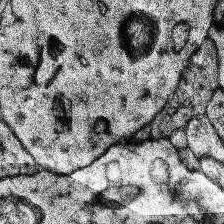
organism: Human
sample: Temporal Lobe